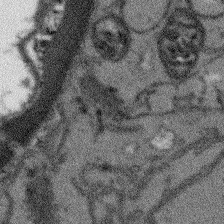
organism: Arabidopsis thaliana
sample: Root tip